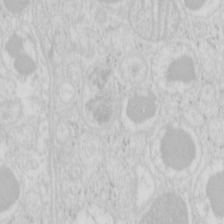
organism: Mouse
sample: Pancreas